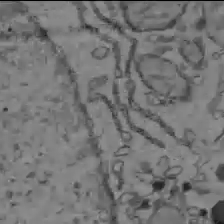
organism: C57BL Mouse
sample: Liver